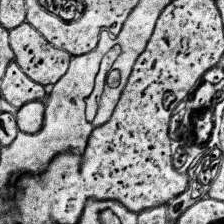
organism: Human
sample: Temporal Lobe